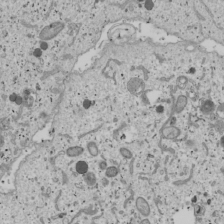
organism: Human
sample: Mitochondria in U2OS cells